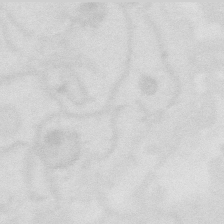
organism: Human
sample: HeLa cells